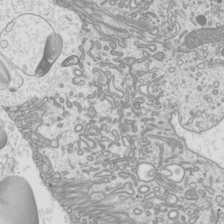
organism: Mouse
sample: Cilia; mouse epididymis